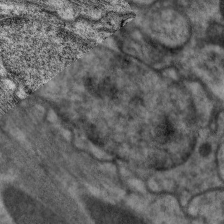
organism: C. elegans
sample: Pharynx